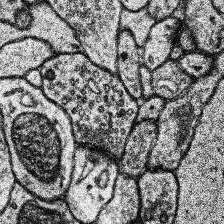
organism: Human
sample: Temporal Lobe